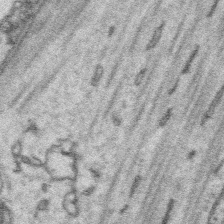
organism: Platynereis dumerilii